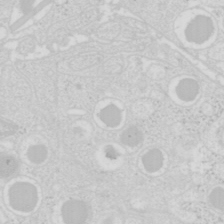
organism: Mouse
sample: Pancreas